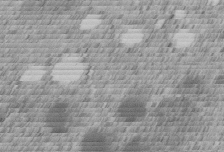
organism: C. elegans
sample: C. elegans embryo early stage